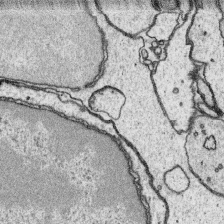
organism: Platynereis dumerilii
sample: Parapodia